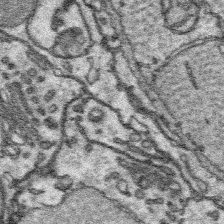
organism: Platynereis dumerilii